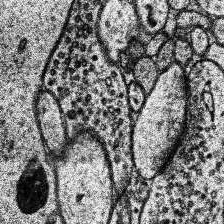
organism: Human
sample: Temporal Lobe